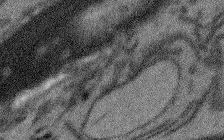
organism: Arabidopsis thaliana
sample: Root tip